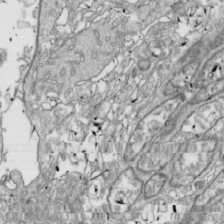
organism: Drosophila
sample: Cell division; meiosis; drosophila spermatocytes